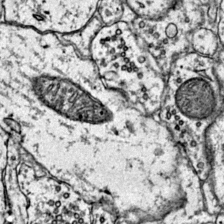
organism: Mouse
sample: Primary visual cortex